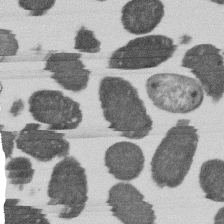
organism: E. coli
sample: Bacterial nucleoid